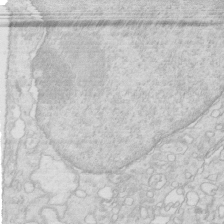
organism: Mouse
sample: Multiciliated cells